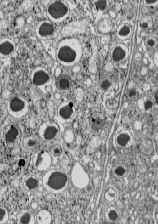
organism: C57BL Mouse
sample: Pancreatic islet